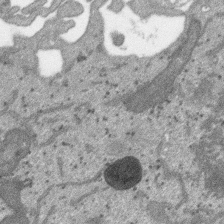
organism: Human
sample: Lung epithelial cells infected with SARS-CoV-2